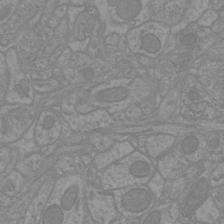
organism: Mouse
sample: Cortical neurons